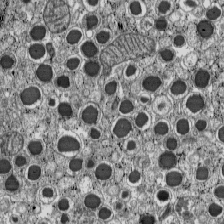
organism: C57BL Mouse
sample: Pancreatic islet